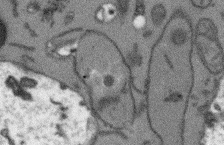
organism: Arabidopsis thaliana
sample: Root tip